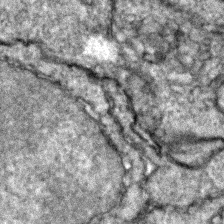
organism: Zebrafish